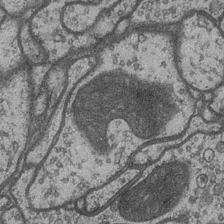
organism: Drosophila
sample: Optic medulla